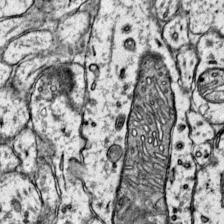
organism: Mouse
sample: Primary visual cortex